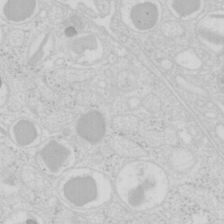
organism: Mouse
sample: Pancreas